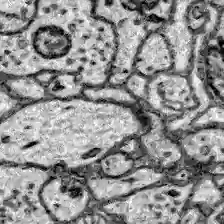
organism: Zebrafish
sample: Brain